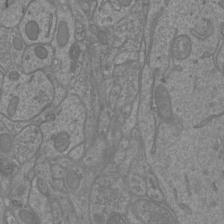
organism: Mouse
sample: Cortical neurons